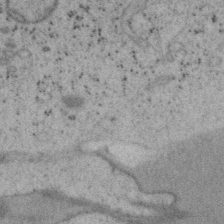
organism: Human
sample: HeLa cells